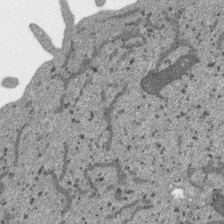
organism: Human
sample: Lung epithelial cells infected with SARS-CoV-2